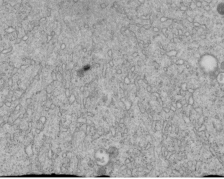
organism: C. elegans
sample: C. elegans embryo early stage